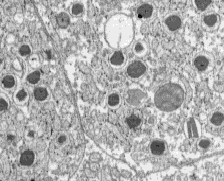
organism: C57BL Mouse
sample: Pancreatic islet